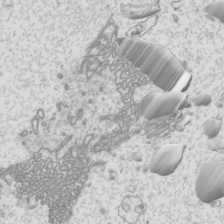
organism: Mouse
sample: Cilia; mouse epididymis